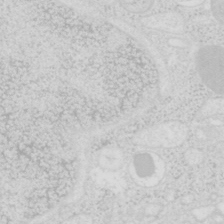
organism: Mouse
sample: Pancreas